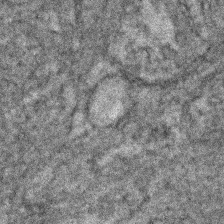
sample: Kidney